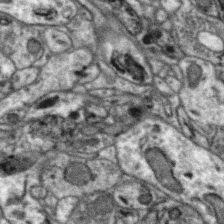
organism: Zebra finch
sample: Brain